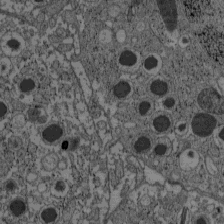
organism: C57BL Mouse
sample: Pancreatic islet